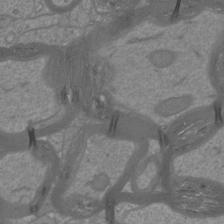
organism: Mouse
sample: Cortical neurons